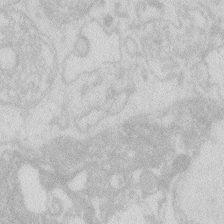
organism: Zebrafish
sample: Macrophage